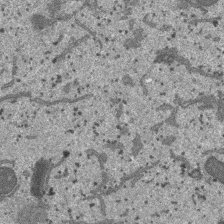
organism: Human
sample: Lung epithelial cells infected with SARS-CoV-2